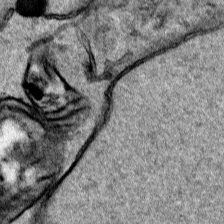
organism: Human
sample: Mitochondria in HCT116 cells